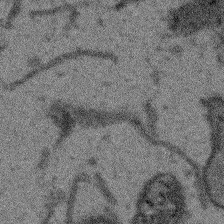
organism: Arabidopsis thaliana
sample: Root tip